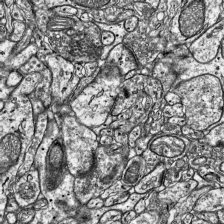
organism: Mouse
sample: Visual Cortex